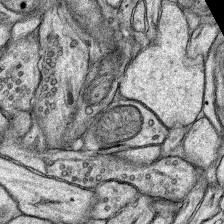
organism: Rat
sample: Hippocampus